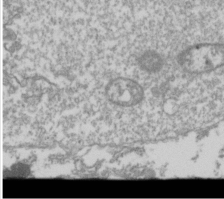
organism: Drosophila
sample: Cell division; meiosis; drosophila spermatocytes